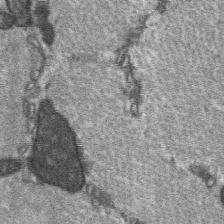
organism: C57BL Mouse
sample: Soleus